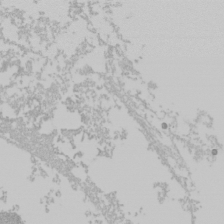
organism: Mouse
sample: Cancer cell death in ED-1 cells